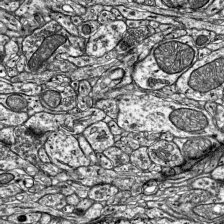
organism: Mouse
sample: Visual Cortex